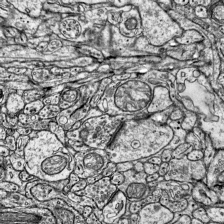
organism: Mouse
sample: Visual Cortex